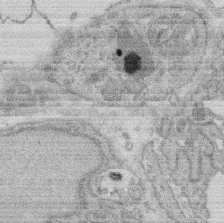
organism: Rat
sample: Salivary granule